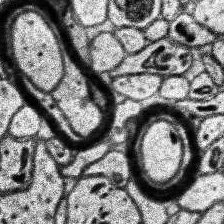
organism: Human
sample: Temporal Lobe